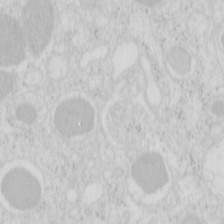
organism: Mouse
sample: Pancreas